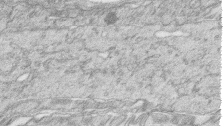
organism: Zebrafish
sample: synaptic ribbons in rod cells and cone cells